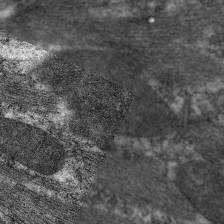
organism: C. elegans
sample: Pharynx